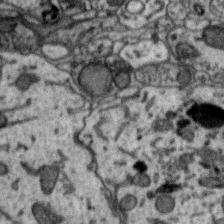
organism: Zebra finch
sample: Brain